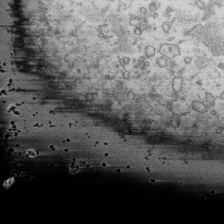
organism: Human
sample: Activated Jurkat CD4+ T cells